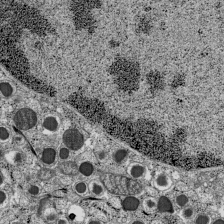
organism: C57BL Mouse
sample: Pancreatic islet